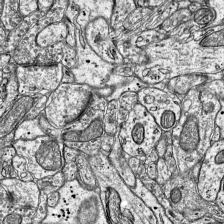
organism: Mouse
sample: Visual Cortex